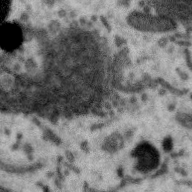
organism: Zebra finch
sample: Brain